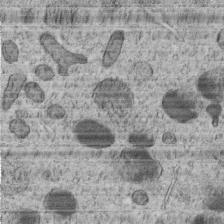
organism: C. elegans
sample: C. elegans embryo early stage